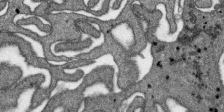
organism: Human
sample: Lung epithelial cells, uninfected (mock) control